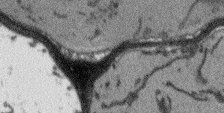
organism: Arabidopsis thaliana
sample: Root tip